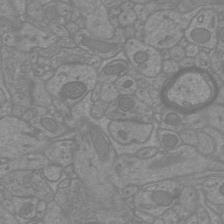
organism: Mouse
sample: Cortical neurons